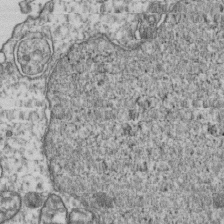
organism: Human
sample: Activated Jurkat CD4+ T cells